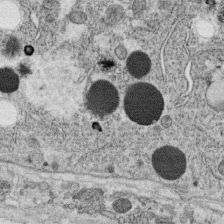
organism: C. elegans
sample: C. elegans oocyte; sperm cells